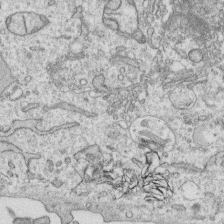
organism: Human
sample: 1205lu cells